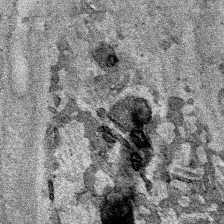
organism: Human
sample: Mitochondria in HCT116 cells